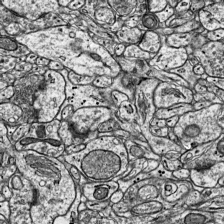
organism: Mouse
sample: Visual Cortex